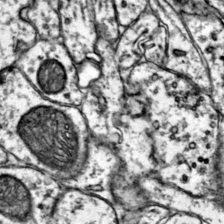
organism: Mouse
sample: Primary visual cortex